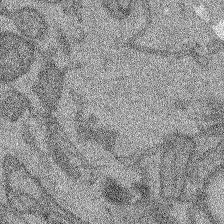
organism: Human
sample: HeLa cells